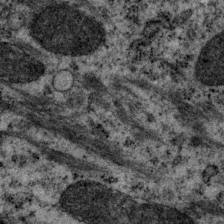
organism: P. pacificus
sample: Pharynx